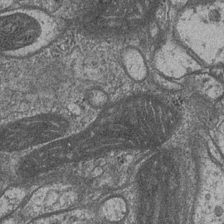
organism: Drosophila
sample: Optic medulla